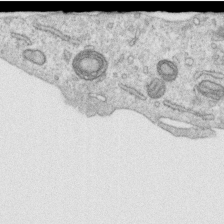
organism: Human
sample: Centriole in RPE cells